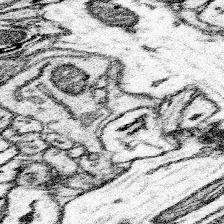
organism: Mouse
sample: Somatosensory cortex neuropil